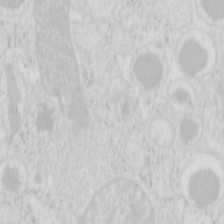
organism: Mouse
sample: Pancreas